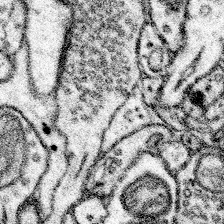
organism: Mouse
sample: Somatosensory cortex neuropil